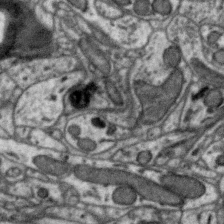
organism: Zebra finch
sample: Brain